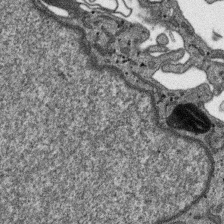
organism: Human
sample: Lung epithelial cells infected with SARS-CoV-2